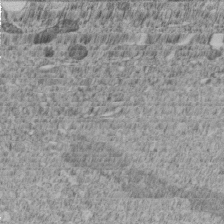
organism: C. elegans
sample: C. elegans embryo early stage